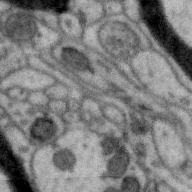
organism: Zebra finch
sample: Brain